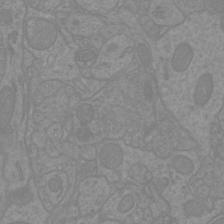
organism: Mouse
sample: Cortical neurons